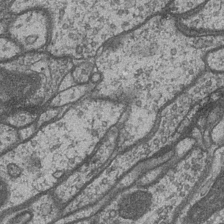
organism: Drosophila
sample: Optic medulla